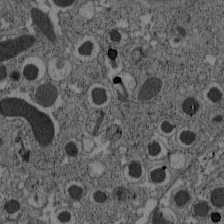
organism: C57BL Mouse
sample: Pancreatic islet